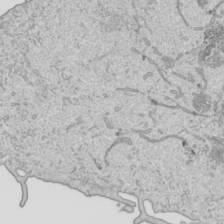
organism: Human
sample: Mitochondria in HCT116 cells